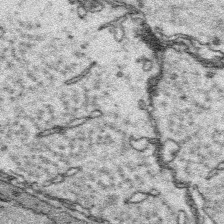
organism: Platynereis dumerilii